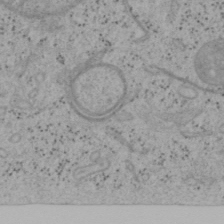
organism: Human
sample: HeLa cells